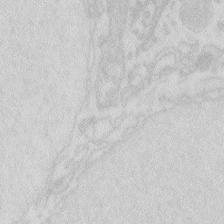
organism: Zebrafish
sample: Macrophage